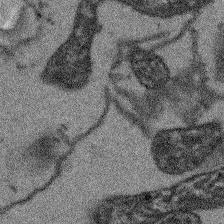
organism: Arabidopsis thaliana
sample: Root tip